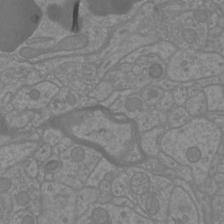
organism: Mouse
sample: Cortical neurons